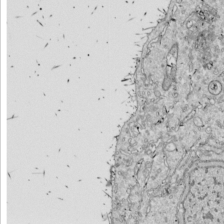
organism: Drosophila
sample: Cell division; meiosis; drosophila spermatocytes